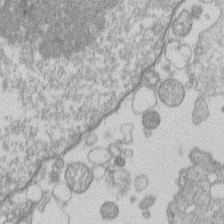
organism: Human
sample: Macrophage cells